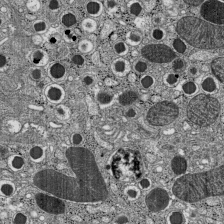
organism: C57BL Mouse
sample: Pancreatic islet